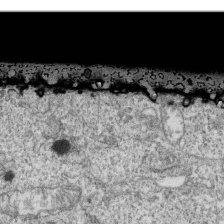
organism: Human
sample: HeLa cell HIV synapse